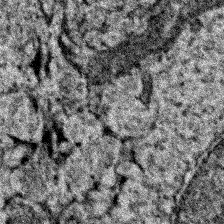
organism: Zebrafish